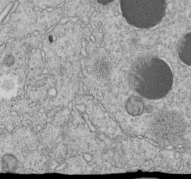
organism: C. elegans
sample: C. elegans embryo early stage